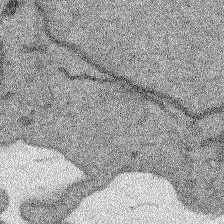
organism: Human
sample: HeLa cells